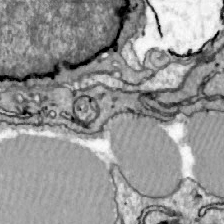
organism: Zebrafish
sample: Actinotrichia fibers